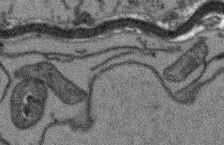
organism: Arabidopsis thaliana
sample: Root tip